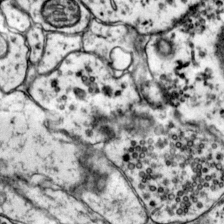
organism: Mouse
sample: Primary visual cortex